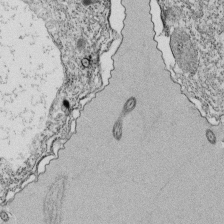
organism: Tetrahymena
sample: Cilia in tetrahymena